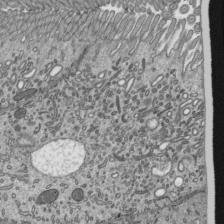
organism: Mouse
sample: Mouse epididymis efferent ductule cilia